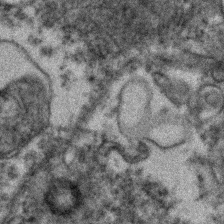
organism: Zebrafish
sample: Zebrafish embryo